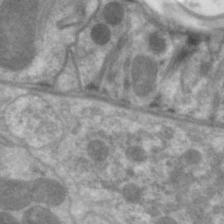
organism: C. elegans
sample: Pharynx